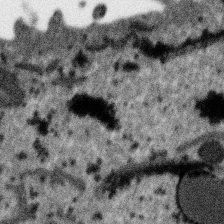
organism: Human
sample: Lung epithelial cells infected with SARS-CoV-2